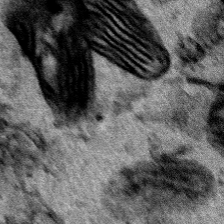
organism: Human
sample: Mitochondria in HCT116 cells